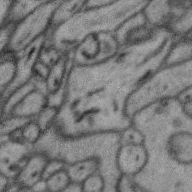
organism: Zebra finch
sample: Brain